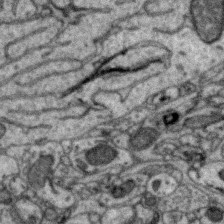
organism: Zebra finch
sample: Brain